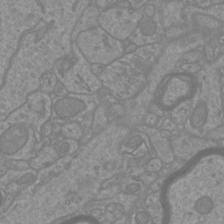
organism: Mouse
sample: Cortical neurons